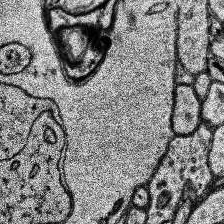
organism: Human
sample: Temporal Lobe